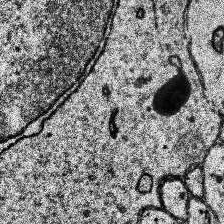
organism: Human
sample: Temporal Lobe